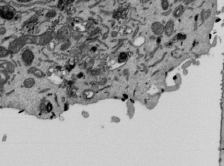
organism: Mouse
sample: ED-1 cell nuclei; centrioles